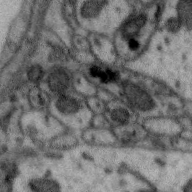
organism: Zebra finch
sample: Brain